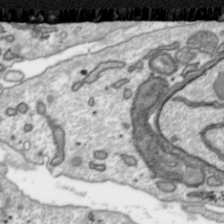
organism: Toxoplasma gondii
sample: Parasites in a vacuole inside a host cell